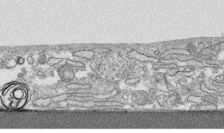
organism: Human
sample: CRL-1474